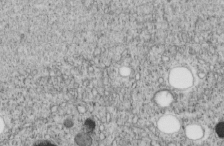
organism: C. elegans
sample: C. elegans embryo early stage